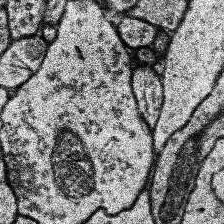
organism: Human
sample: Temporal Lobe